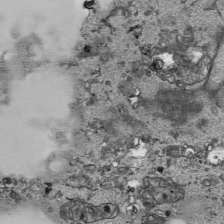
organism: Human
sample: Mitochondria in HCT116 cells